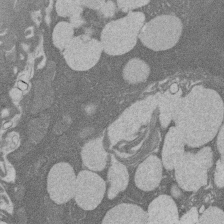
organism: Rat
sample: Salivary granule